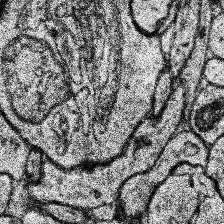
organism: Human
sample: Temporal Lobe